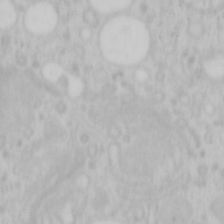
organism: Mouse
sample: OT-I killer T cells with ID8 ovarian cancer cells